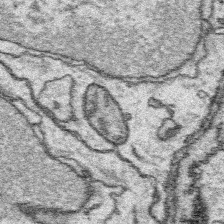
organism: Platynereis dumerilii